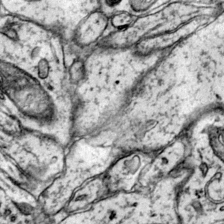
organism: Mouse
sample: Primary visual cortex